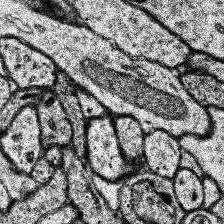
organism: Human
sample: Temporal Lobe